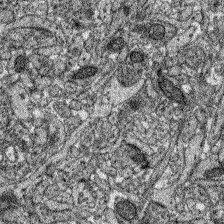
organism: Zebrafish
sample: Larval olfactory bulb